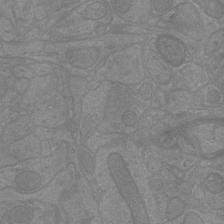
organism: Mouse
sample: Cortical neurons